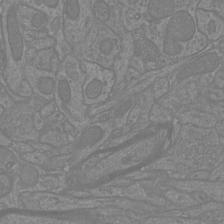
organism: Mouse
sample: Cortical neurons